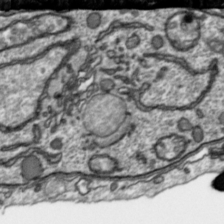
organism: Toxoplasma gondii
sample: Parasites in a vacuole inside a host cell